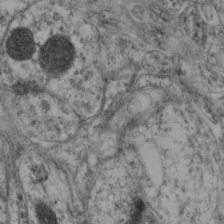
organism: Mouse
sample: Neocortex